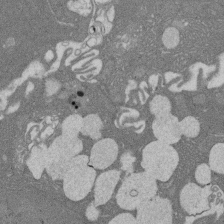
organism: Rat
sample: Salivary granule